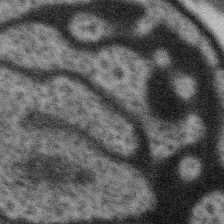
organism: Gemmata obscuriglobus